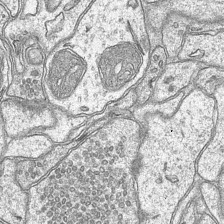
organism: Mouse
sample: CA1 Hippocampus